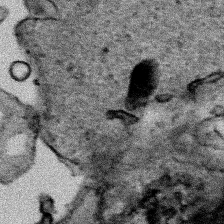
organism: Human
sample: Mitochondria in HCT116 cells